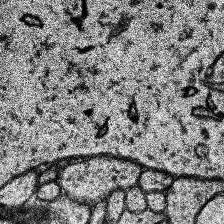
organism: Human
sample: Temporal Lobe